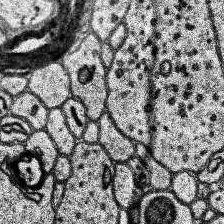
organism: Human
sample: Temporal Lobe